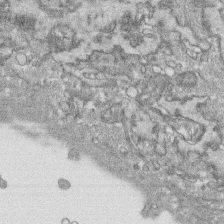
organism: Human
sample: CRL-1474